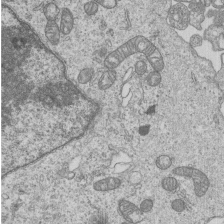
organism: Human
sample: MDA-MB-231 cells